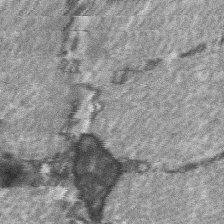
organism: C57BL Mouse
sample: Soleus